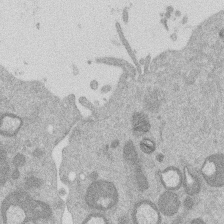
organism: Mouse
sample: Dividing mouse embryo 1 cell stage